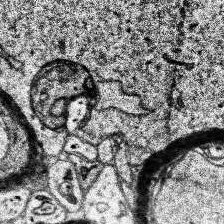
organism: Human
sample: Temporal Lobe